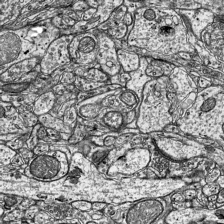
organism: Mouse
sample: Visual Cortex